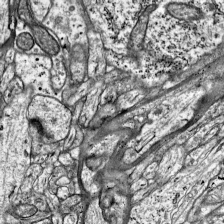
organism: Mouse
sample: Visual Cortex